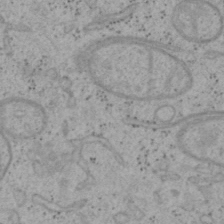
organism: Human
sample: HeLa cells